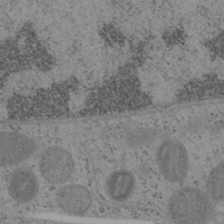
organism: Mouse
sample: OT-I killer T cells with ID8 ovarian cancer cells